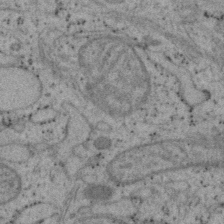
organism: Human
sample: HeLa cells